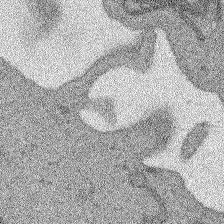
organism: Human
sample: HeLa cells